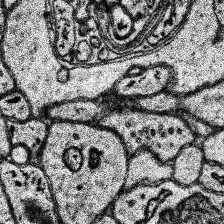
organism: Human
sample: Temporal Lobe